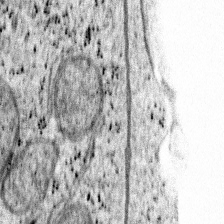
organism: Human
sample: HeLa cells